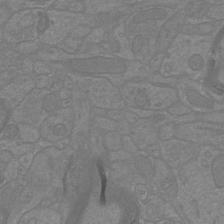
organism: Mouse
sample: Cortical neurons